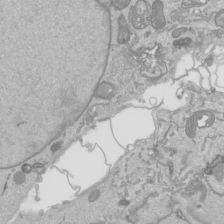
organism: Human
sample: Mitochondria in HCT116 cells